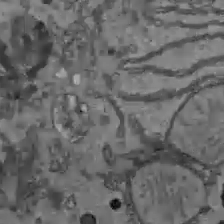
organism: C57BL Mouse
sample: Liver